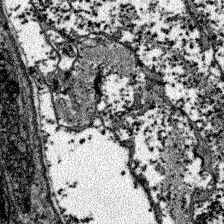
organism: Zebrafish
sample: Larval olfactory bulb